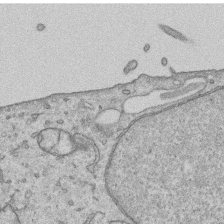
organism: Human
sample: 1205lu cells